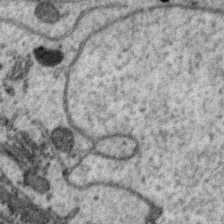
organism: Zebra finch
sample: Brain